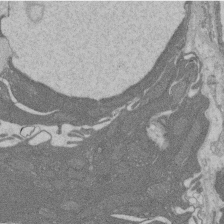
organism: Rat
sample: Salivary granule